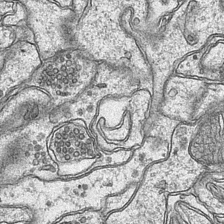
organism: Mouse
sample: CA1 Hippocampus